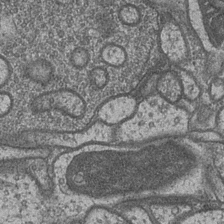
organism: Drosophila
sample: Optic medulla